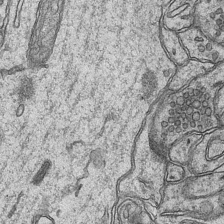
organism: Mouse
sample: CA1 Hippocampus